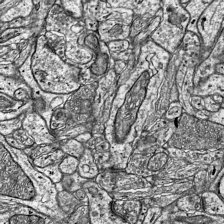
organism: Mouse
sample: Visual Cortex